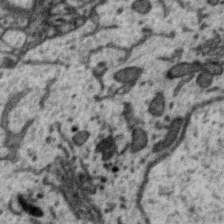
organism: Zebra finch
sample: Brain